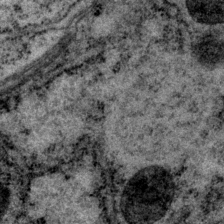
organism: P. pacificus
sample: Pharynx